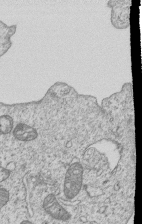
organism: Human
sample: MDA-MB-231 cells